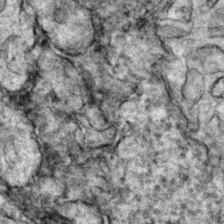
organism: Zebrafish